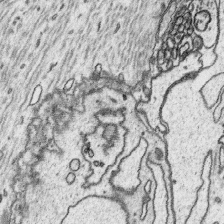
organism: Platynereis dumerilii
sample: Parapodia